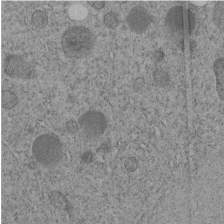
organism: C. elegans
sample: C. elegans embryo early stage